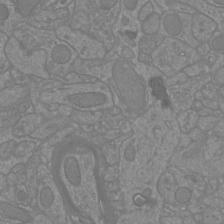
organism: Mouse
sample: Cortical neurons